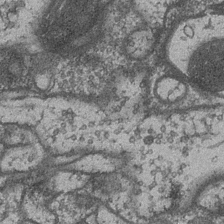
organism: Drosophila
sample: Optic medulla